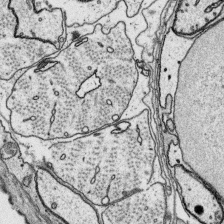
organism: Platynereis dumerilii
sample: Parapodia